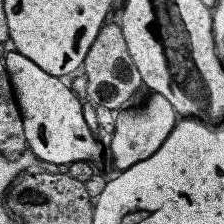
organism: Human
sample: Temporal Lobe